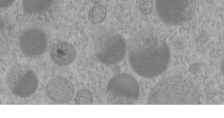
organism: C. elegans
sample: C. elegans embryo early stage